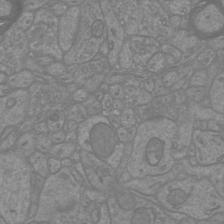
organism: Mouse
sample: Cortical neurons